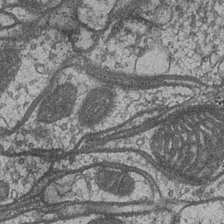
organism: Drosophila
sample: Optic medulla